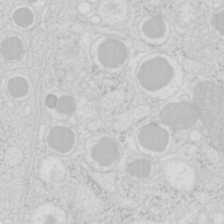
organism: Mouse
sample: Pancreas